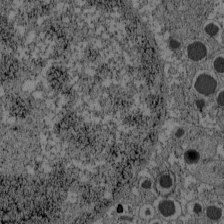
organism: C57BL Mouse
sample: Pancreatic islet